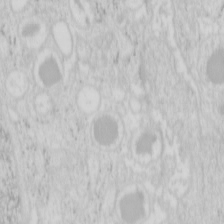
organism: Mouse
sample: Pancreas